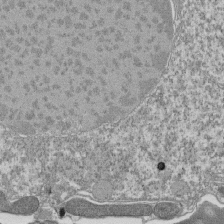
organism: Tetrahymena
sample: Cilia in tetrahymena